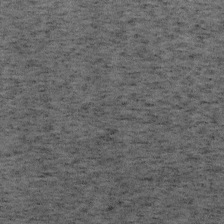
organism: Mouse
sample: OT-I killer T cells with ID8 ovarian cancer cells